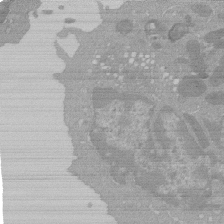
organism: Mouse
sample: Activated Pmel transgenic CD8+ T Cells